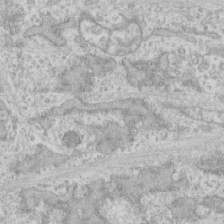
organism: Human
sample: CRL-1474